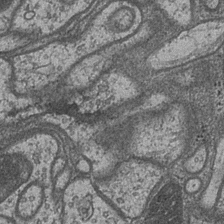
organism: Drosophila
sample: Optic medulla